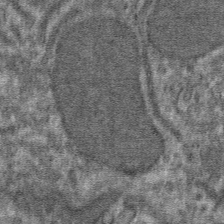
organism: Mouse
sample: Mouse hepatocytes